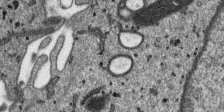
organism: Human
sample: Lung epithelial cells infected with SARS-CoV-2